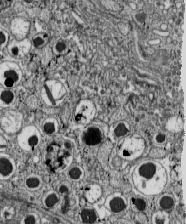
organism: C57BL Mouse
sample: Pancreatic islet